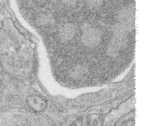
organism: Zebrafish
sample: synaptic ribbons in rod cells and cone cells